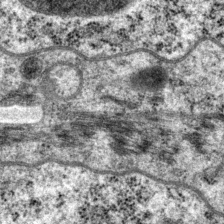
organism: P. pacificus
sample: Pharynx